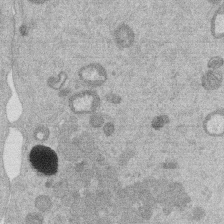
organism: Mouse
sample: Dividing mouse embryo 1 cell stage